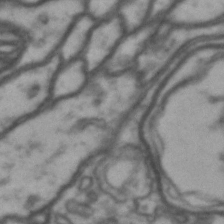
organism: Drosophila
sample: Brain